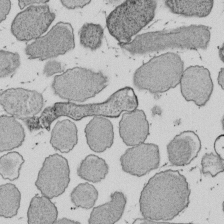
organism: E. coli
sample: Bacterial nucleoid